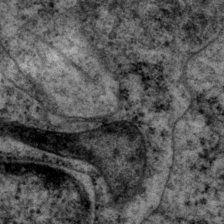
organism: P. pacificus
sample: Pharynx